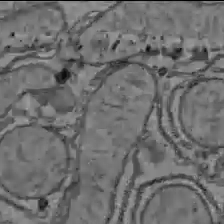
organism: C57BL Mouse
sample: Liver